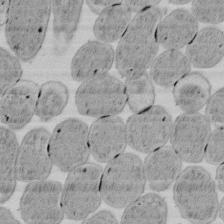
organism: E. coli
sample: Bacterial nucleoid